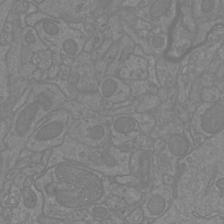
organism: Mouse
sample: Cortical neurons